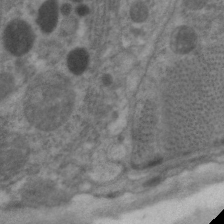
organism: C. elegans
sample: Pharynx